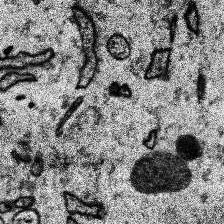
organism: Human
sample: Temporal Lobe